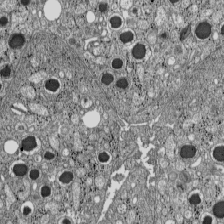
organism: C57BL Mouse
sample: Pancreatic islet